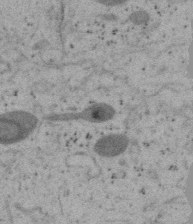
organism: Human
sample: HeLa cells